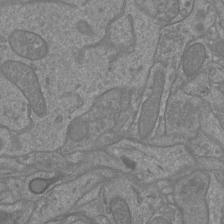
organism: Mouse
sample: Cortical neurons